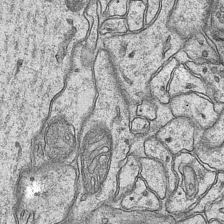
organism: Mouse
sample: CA1 Hippocampus